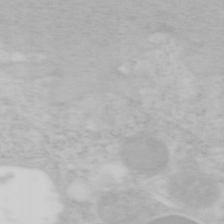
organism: Mouse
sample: OT-I killer T cells with ID8 ovarian cancer cells